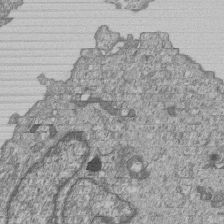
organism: Human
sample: MDA-MB-231 cells